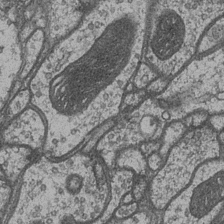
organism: Drosophila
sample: Optic medulla